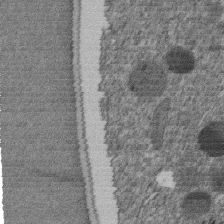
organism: C. elegans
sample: C. elegans embryo early stage